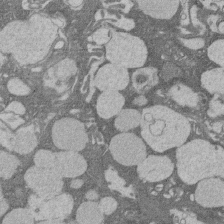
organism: Rat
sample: Salivary granule